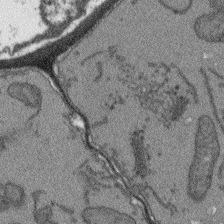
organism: Arabidopsis thaliana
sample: Root tip